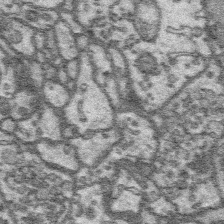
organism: Platynereis dumerilii